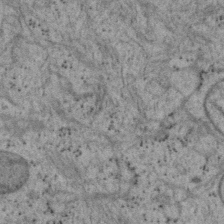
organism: Human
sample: HeLa cells